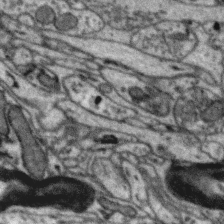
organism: Zebra finch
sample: Brain